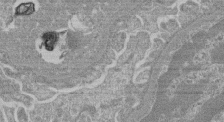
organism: Mouse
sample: Glomerulus